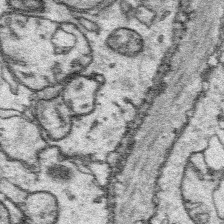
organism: Platynereis dumerilii